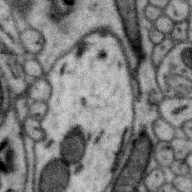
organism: Zebra finch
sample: Brain